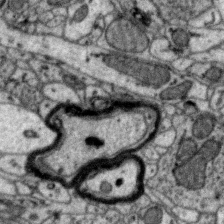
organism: Zebra finch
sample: Brain